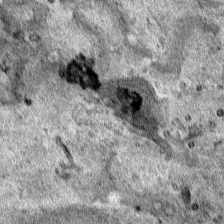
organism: Human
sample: Mitochondria in HCT116 cells